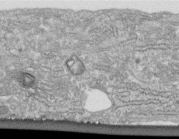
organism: Human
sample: Centriole in fibroblast cells